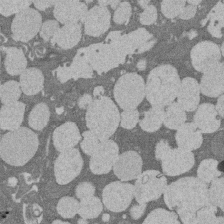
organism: Rat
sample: Salivary granule